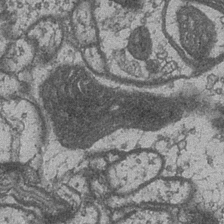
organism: Drosophila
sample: Optic medulla